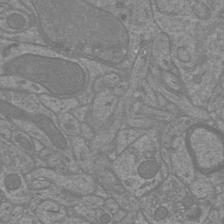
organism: Mouse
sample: Cortical neurons